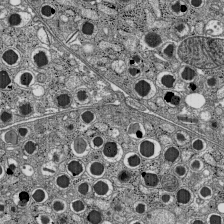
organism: C57BL Mouse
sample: Pancreatic islet